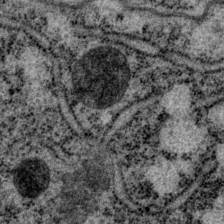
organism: P. pacificus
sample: Pharynx